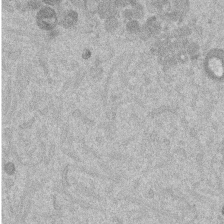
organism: Mouse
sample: Dividing mouse embryo 1 cell stage